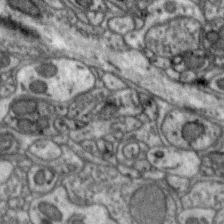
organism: Zebra finch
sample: Brain